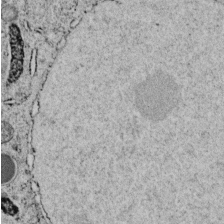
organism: C. elegans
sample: C. elegans embryo early stage